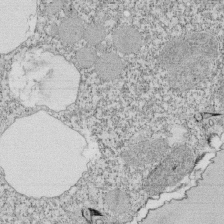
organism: Tetrahymena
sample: Cilia in tetrahymena